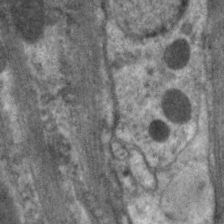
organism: C. elegans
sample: Pharynx